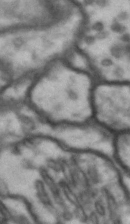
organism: Drosophila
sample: Brain